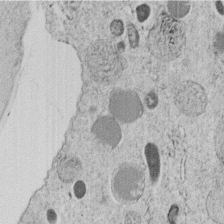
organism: C. elegans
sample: C. elegans embryo early stage